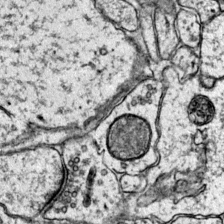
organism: Mouse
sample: Primary visual cortex